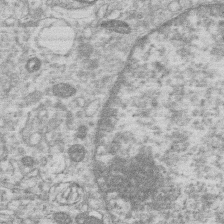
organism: Human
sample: Macrophage cells